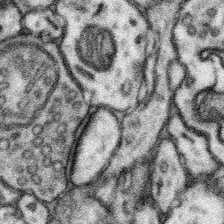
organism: Mouse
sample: Somatosensory cortex neuropil